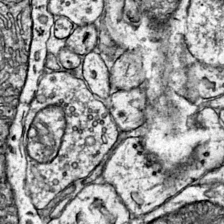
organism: Mouse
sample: Primary visual cortex